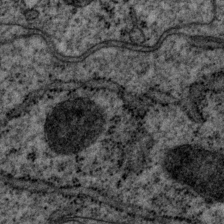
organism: P. pacificus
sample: Pharynx